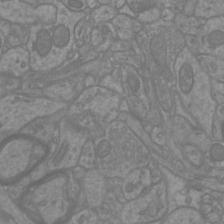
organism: Mouse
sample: Cortical neurons